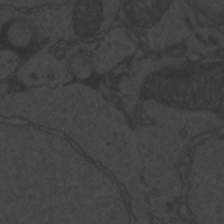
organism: Zebrafish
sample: Macrophage infected with Toxoplasma gondii